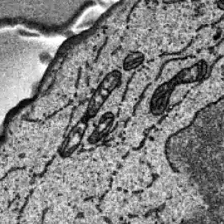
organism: Human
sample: HeLa cells